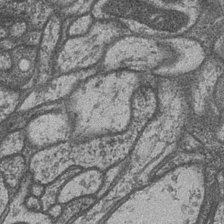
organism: Drosophila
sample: Optic medulla